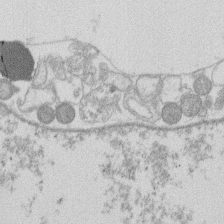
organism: Human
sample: Macrophage cells